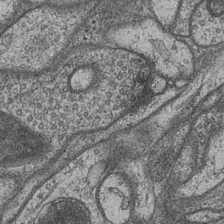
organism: Drosophila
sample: Optic medulla